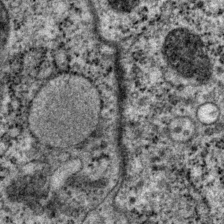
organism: P. pacificus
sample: Pharynx